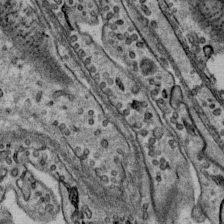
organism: Mouse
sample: Mouse Salivary gland